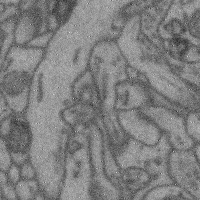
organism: Mouse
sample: Cerebral cortex